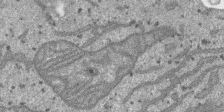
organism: Human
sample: Lung epithelial cells infected with SARS-CoV-2